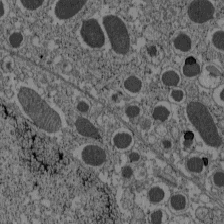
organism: C57BL Mouse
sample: Pancreatic islet